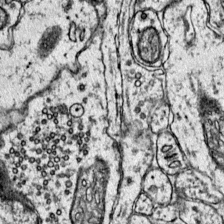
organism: Mouse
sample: Primary visual cortex